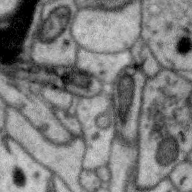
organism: Zebra finch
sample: Brain